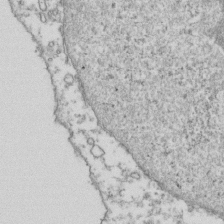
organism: Human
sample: Activated Jurkat CD4+ T cells